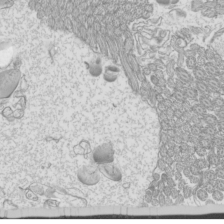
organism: Mouse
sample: Cilia; mouse epididymis